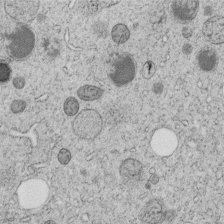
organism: C. elegans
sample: C. elegans embryo early stage